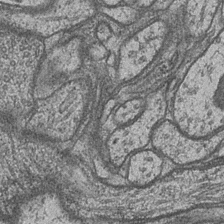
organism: Drosophila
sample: Optic medulla